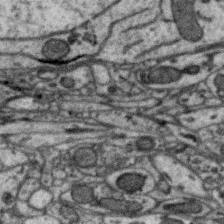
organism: Zebra finch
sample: Brain